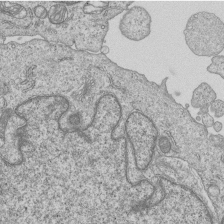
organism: Human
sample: MDA-MB-231 cells